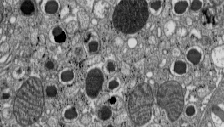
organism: C57BL Mouse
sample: Pancreatic islet